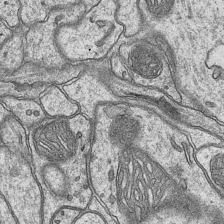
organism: Mouse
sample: CA1 Hippocampus